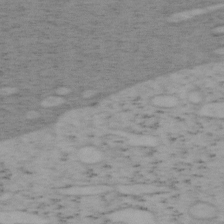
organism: Mouse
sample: OT-I killer T cells with ID8 ovarian cancer cells